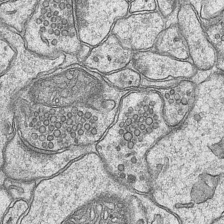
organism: Mouse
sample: CA1 Hippocampus